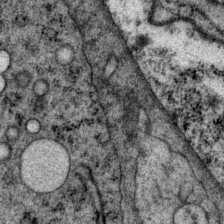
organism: P. pacificus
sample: Pharynx